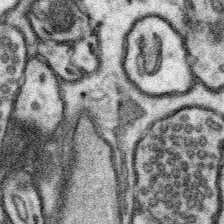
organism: Mouse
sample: Somatosensory cortex neuropil